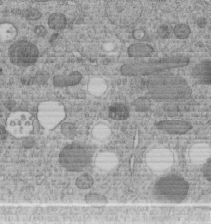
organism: C. elegans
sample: C. elegans embryo early stage